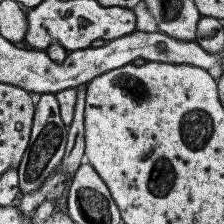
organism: Human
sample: Temporal Lobe